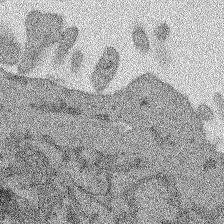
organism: Human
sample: HeLa cells